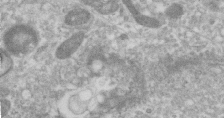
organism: Human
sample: Centriole in RPE cells